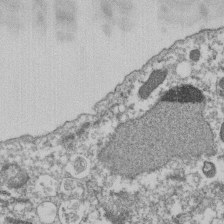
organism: Dictyostelium discoideum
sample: Dictyostelium multivesicular bodies